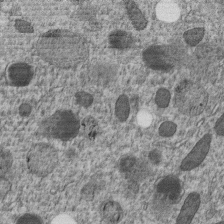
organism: C. elegans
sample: C. elegans embryo early stage